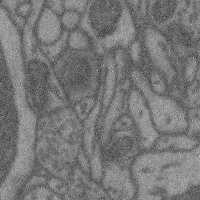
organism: Mouse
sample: Cerebral cortex